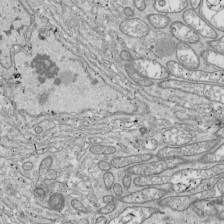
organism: Drosophila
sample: Cell division; meiosis; drosophila spermatocytes